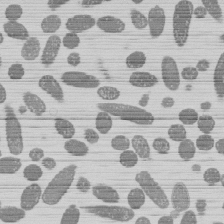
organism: E. coli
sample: Bacterial nucleoid